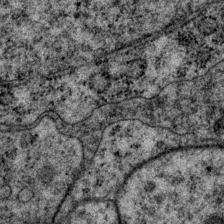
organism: P. pacificus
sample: Pharynx